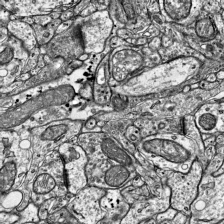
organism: Mouse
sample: Visual Cortex